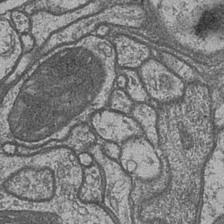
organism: Drosophila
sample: Optic medulla